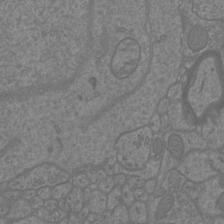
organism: Mouse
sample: Cortical neurons